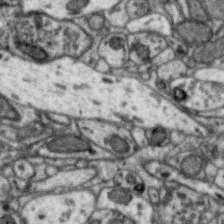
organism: Zebra finch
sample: Brain